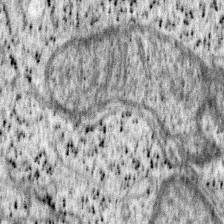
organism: Human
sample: HeLa cells